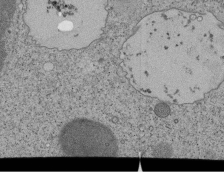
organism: Tetrahymena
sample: Cilia in tetrahymena